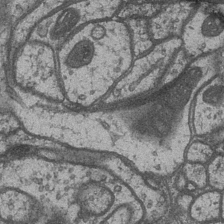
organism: Drosophila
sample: Optic medulla